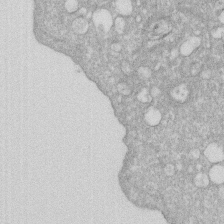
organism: Human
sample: HIV infected U937 cells